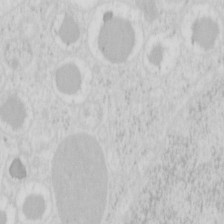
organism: Mouse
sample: Pancreas